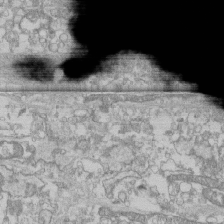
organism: Human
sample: CRL-1474